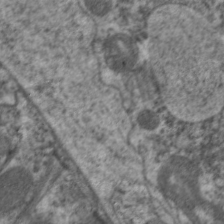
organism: C. elegans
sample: Pharynx